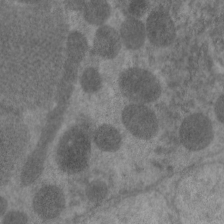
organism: C. elegans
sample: Pharynx